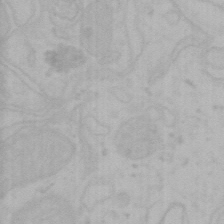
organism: Mouse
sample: Choroid plexus